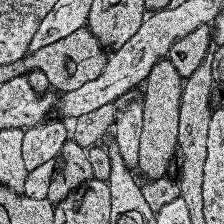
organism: Human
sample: Temporal Lobe